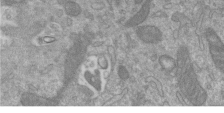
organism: Mouse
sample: ED-1 cell nuclei; centrioles